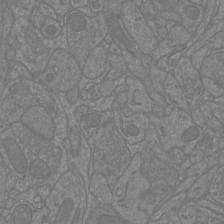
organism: Mouse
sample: Cortical neurons